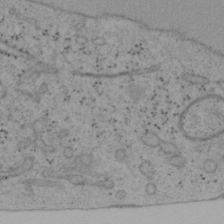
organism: Human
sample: HeLa cells